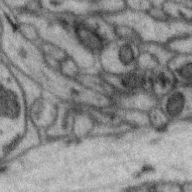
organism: Zebra finch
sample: Brain